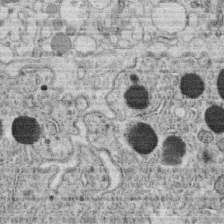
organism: C. elegans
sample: C. elegans oocyte; sperm cells